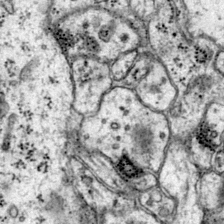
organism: Mouse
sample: Primary visual cortex